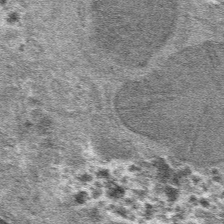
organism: Mouse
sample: Mouse hepatocytes